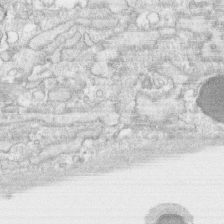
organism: Human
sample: CRL-1474